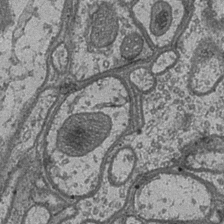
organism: Drosophila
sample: Optic medulla